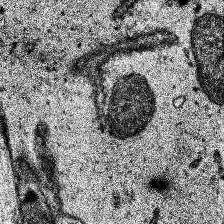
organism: Human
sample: Temporal Lobe